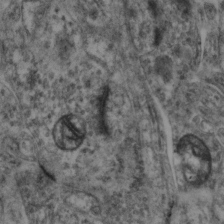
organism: Mouse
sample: Neocortex